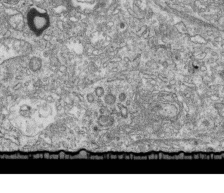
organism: Human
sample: HeLa cell HIV synapse